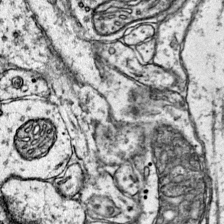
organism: Mouse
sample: Primary visual cortex